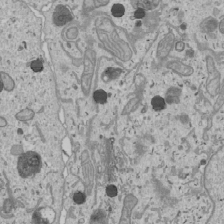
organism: Human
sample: Mitochondria in U2OS cells